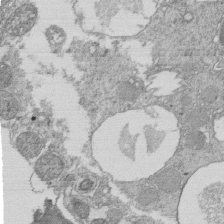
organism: Tetrahymena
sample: Cilia in tetrahymena